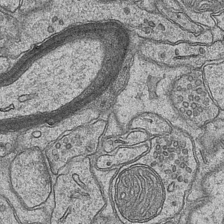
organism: Mouse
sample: CA1 Hippocampus